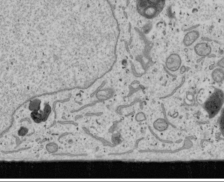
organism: Human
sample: Mitochondria in U2OS cells